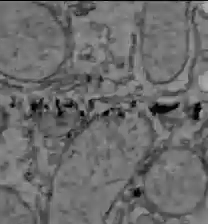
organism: C57BL Mouse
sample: Liver